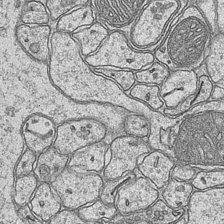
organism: Mouse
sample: CA1 Hippocampus